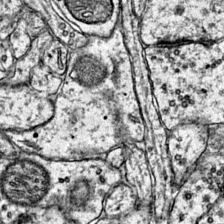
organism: Mouse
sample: Primary visual cortex